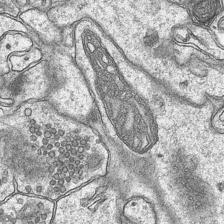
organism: Mouse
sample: CA1 Hippocampus